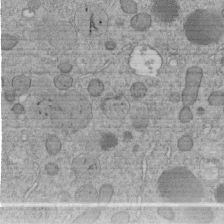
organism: C. elegans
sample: C. elegans embryo early stage